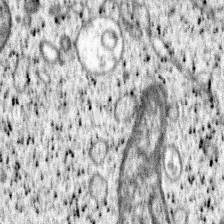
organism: Human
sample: HeLa cells